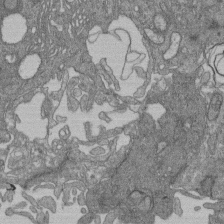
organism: Human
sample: Retinal organoid Rod and Cone cells